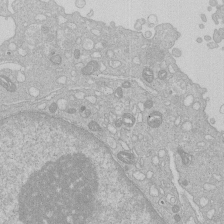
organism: Human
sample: Macrophage cells